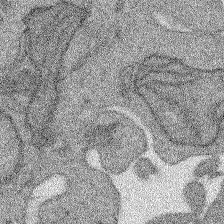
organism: Human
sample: HeLa cells